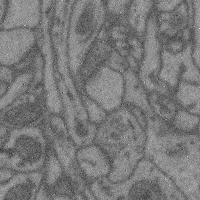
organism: Mouse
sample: Cerebral cortex